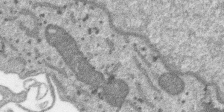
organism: Human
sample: Lung epithelial cells infected with SARS-CoV-2